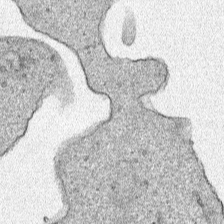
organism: Human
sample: Mitochondria in HCT116 cells